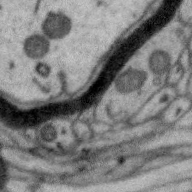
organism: Zebra finch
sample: Brain